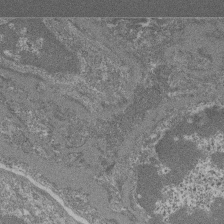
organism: Mouse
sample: Glomerulus